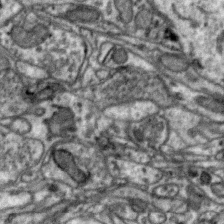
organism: Zebra finch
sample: Brain